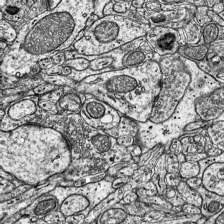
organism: Mouse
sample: Visual Cortex